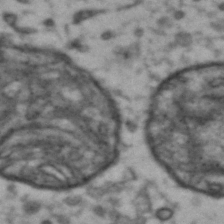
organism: Drosophila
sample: Brain